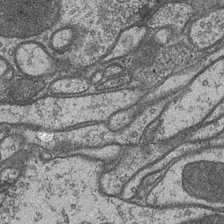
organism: Drosophila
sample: Optic medulla